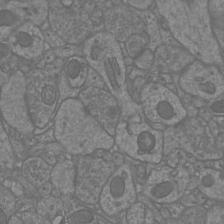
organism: Mouse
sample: Cortical neurons